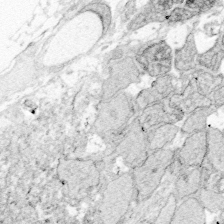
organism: Zebrafish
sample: Whole-Brain